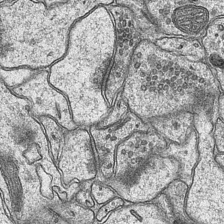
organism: Mouse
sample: CA1 Hippocampus